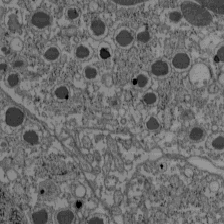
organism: C57BL Mouse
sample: Pancreatic islet